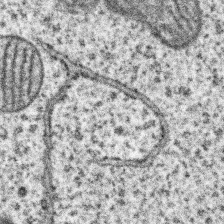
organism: Human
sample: HeLa cells